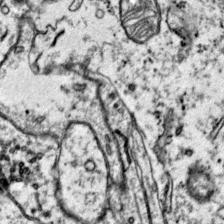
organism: Mouse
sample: Primary visual cortex